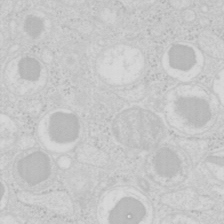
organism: Mouse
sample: Pancreas